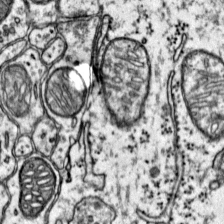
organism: Mouse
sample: Primary visual cortex